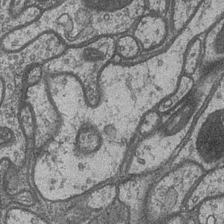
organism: Drosophila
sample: Optic medulla